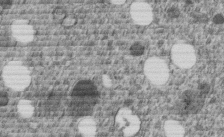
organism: C. elegans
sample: C. elegans embryo early stage